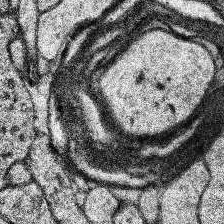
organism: Human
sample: Temporal Lobe